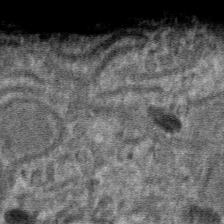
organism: Mouse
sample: Mouse hepatocytes